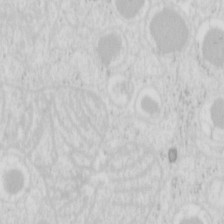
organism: Mouse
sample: Pancreas